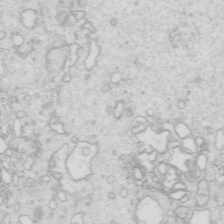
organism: Mouse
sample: Multiciliated cells